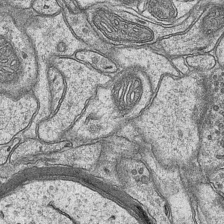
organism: Mouse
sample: CA1 Hippocampus